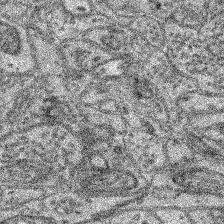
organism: Mouse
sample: Retina